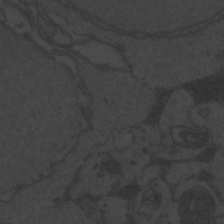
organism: Zebrafish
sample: Macrophage infected with Toxoplasma gondii